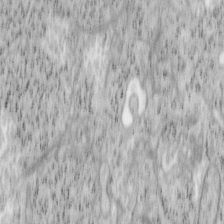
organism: Human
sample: HeLa cells